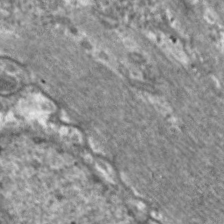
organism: C. elegans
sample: Pharynx